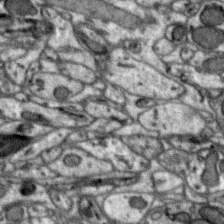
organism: Zebra finch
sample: Brain